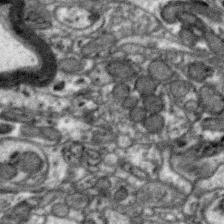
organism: Zebra finch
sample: Brain